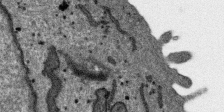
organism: Human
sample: Lung epithelial cells, uninfected (mock) control